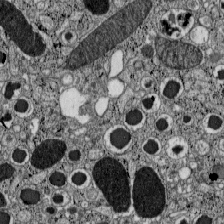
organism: C57BL Mouse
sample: Pancreatic islet